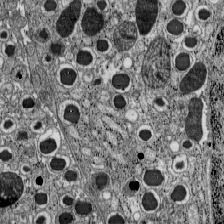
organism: C57BL Mouse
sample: Pancreatic islet